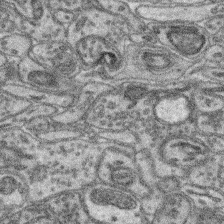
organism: Mouse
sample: Retina